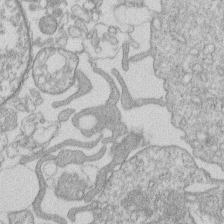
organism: Human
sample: Macrophage cells